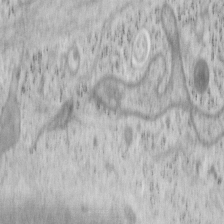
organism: Human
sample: HeLa cells